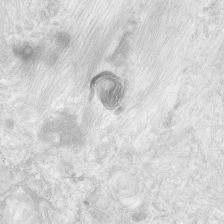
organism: Human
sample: Neocortex